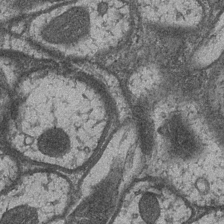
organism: Drosophila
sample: Optic medulla